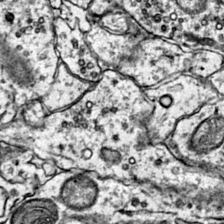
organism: Mouse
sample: Primary visual cortex